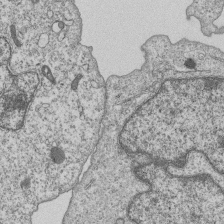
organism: Human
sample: MDA-MB-231 cells